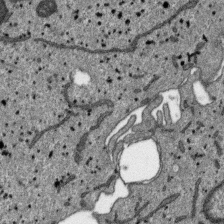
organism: Human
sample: Lung epithelial cells, uninfected (mock) control